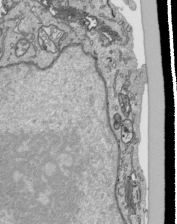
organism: Human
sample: Mitochondria in HCT116 cells